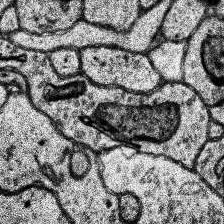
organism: Human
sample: Temporal Lobe